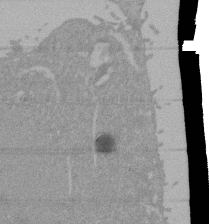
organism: Mouse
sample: ED-1 cell nuclei; centrioles